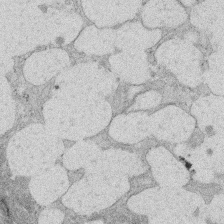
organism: Rat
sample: Salivary granule